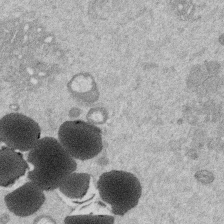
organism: Mouse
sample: Dividing mouse embryo 1 cell stage